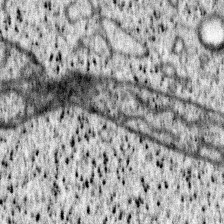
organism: Human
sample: HeLa cells